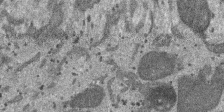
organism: Human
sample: Lung epithelial cells infected with SARS-CoV-2